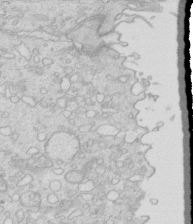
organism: Mouse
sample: Multiciliated cells